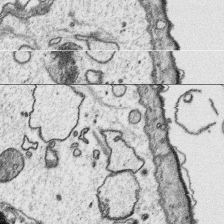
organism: Platynereis dumerilii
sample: Parapodia